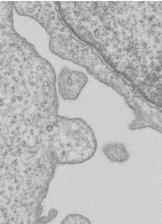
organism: Human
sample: MDA-MB-231 cells